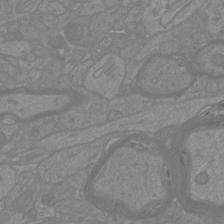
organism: Mouse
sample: Cortical neurons